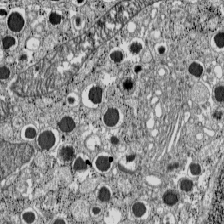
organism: C57BL Mouse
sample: Pancreatic islet